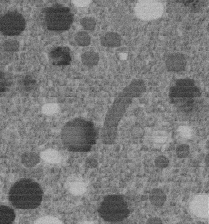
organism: C. elegans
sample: C. elegans embryo early stage